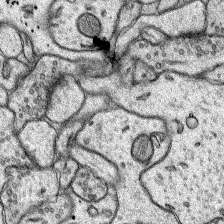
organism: Rat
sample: Hippocampus